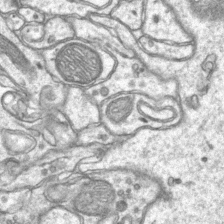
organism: Mouse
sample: CA1 Hippocampus